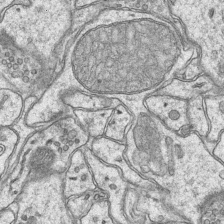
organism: Mouse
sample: CA1 Hippocampus